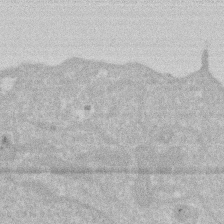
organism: Human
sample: HIV infected U937 cells